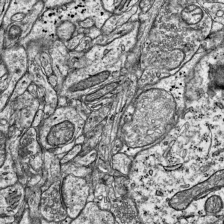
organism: Mouse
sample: Visual Cortex